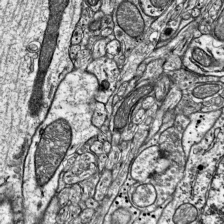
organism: Mouse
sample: Visual Cortex